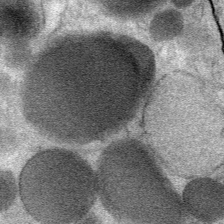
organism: Mouse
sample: Mouse Salivary gland